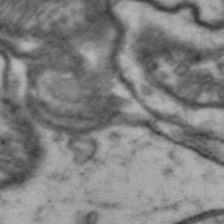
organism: Drosophila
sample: Brain